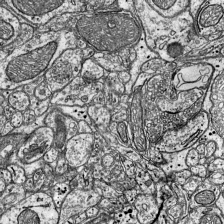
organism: Mouse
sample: Visual Cortex